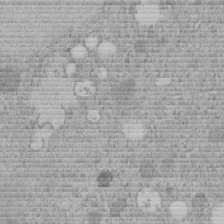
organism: C. elegans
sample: C. elegans embryo early stage